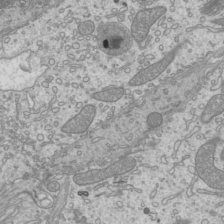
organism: Mouse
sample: Cilia; mouse epididymis